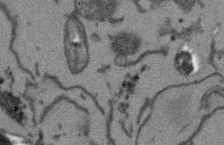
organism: Arabidopsis thaliana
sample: Root tip